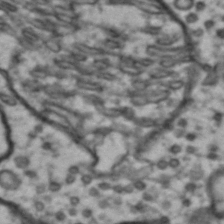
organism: Drosophila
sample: Brain